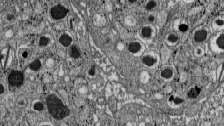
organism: C57BL Mouse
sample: Pancreatic islet